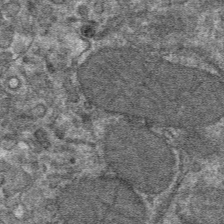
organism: Mouse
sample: Mouse hepatocytes